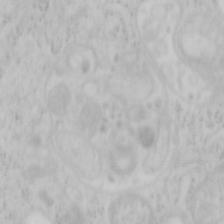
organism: Mouse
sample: OT-I killer T cells with ID8 ovarian cancer cells